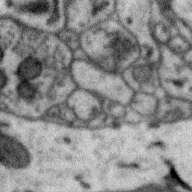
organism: Zebra finch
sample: Brain